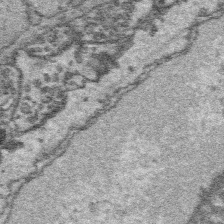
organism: Platynereis dumerilii